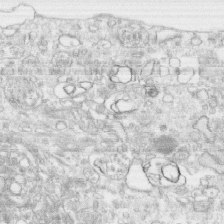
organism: Human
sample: CRL-1474